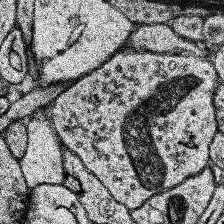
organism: Human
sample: Temporal Lobe